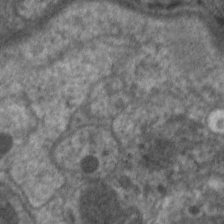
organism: C. elegans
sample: Pharynx